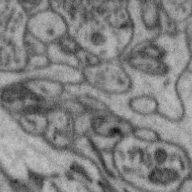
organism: Zebra finch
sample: Brain